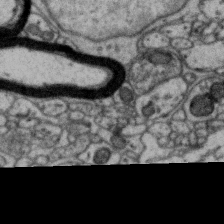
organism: Zebra finch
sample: Brain